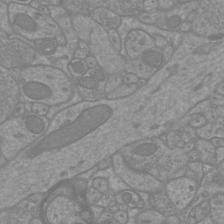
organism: Mouse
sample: Cortical neurons